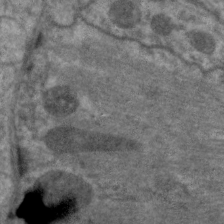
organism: C. elegans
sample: Pharynx